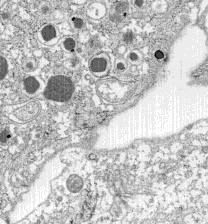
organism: C57BL Mouse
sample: Pancreatic islet